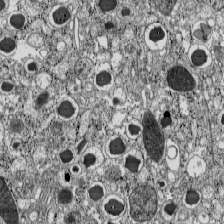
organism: C57BL Mouse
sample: Pancreatic islet